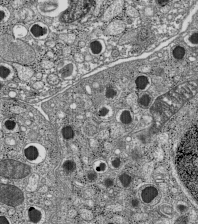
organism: C57BL Mouse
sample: Pancreatic islet